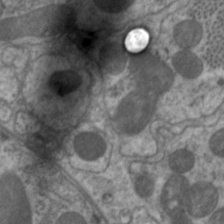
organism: C. elegans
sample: Pharynx